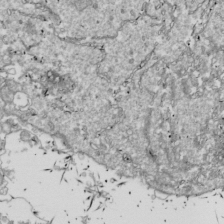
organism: Drosophila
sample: Cell division; meiosis; drosophila spermatocytes